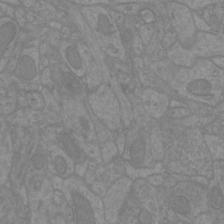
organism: Mouse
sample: Cortical neurons